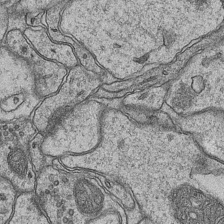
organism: Mouse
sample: CA1 Hippocampus